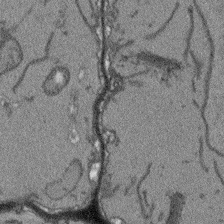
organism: Arabidopsis thaliana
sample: Root tip